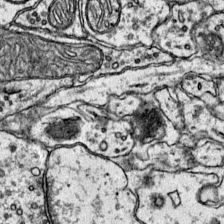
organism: Mouse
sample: Primary visual cortex